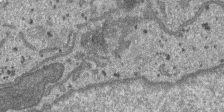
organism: Human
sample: Lung epithelial cells infected with SARS-CoV-2